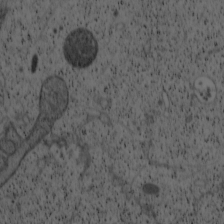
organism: African green monkey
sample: COS-7 cells